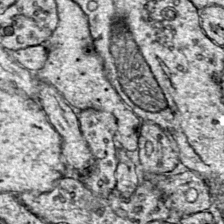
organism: Mouse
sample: Primary visual cortex